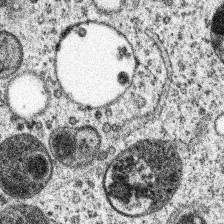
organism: Human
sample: HeLa cells